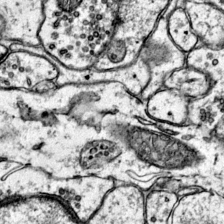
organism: Mouse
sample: Primary visual cortex